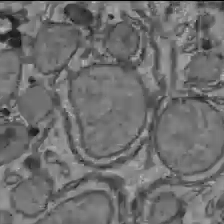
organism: C57BL Mouse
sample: Liver